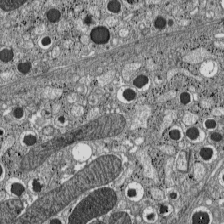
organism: C57BL Mouse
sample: Pancreatic islet